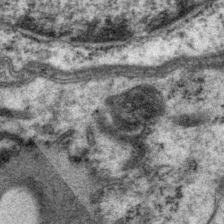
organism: P. pacificus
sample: Pharynx